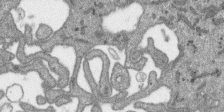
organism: Human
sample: Lung epithelial cells infected with SARS-CoV-2